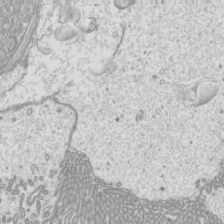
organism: Mouse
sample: Cilia; mouse epididymis